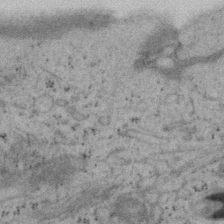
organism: Human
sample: HeLa cells